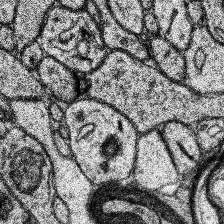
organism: Human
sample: Temporal Lobe